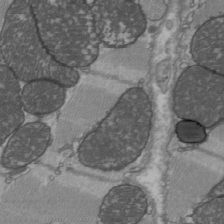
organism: C57BL Mouse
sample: Heart